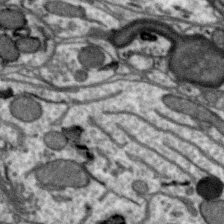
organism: Zebra finch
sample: Brain